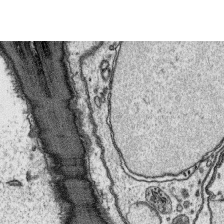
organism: Platynereis dumerilii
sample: Parapodia